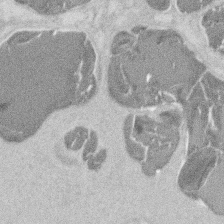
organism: Mouse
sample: T cell stromal cell synapse